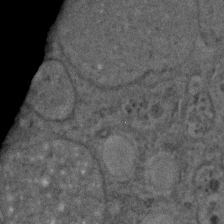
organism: C. elegans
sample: C. elegans embryo